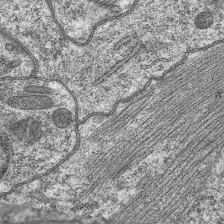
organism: C. elegans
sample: Pharynx